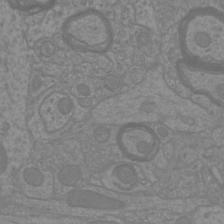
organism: Mouse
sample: Cortical neurons